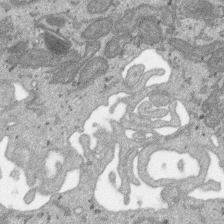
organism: Human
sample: Lung epithelial cells infected with SARS-CoV-2